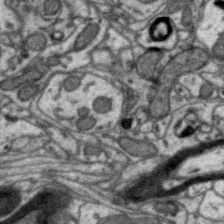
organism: Zebra finch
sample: Brain